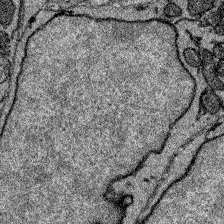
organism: Zebrafish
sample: Larval olfactory bulb